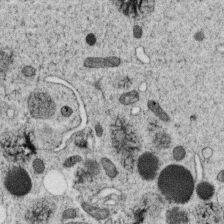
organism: C. elegans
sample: C. elegans oocyte; sperm cells